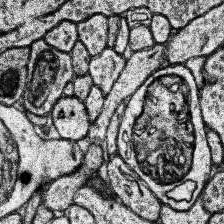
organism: Human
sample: Temporal Lobe